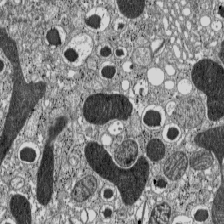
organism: C57BL Mouse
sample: Pancreatic islet